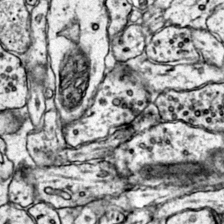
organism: Mouse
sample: Primary visual cortex